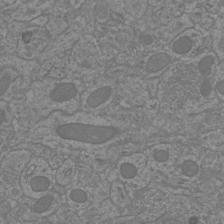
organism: Mouse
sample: Cortical neurons